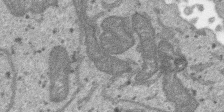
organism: Human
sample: Lung epithelial cells infected with SARS-CoV-2